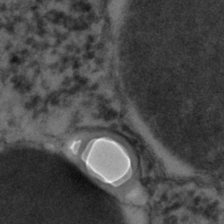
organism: C. elegans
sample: C. elegans embryo